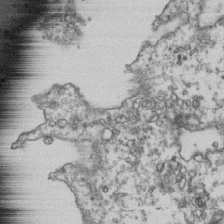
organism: Human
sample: Activated Jurkat CD4+ T cells